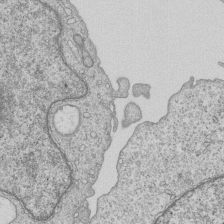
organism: Human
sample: MDA-MB-231 cells